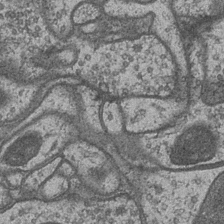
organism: Drosophila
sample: Optic medulla